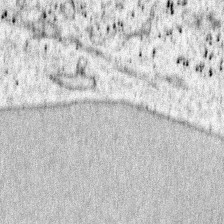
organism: Human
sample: HeLa cells